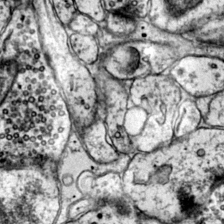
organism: Mouse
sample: Primary visual cortex